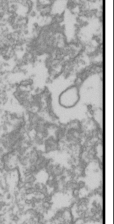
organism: Drosophila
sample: Cell division; meiosis; drosophila spermatocytes